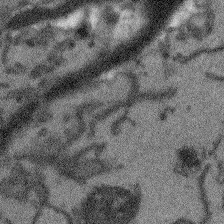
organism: Arabidopsis thaliana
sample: Root tip